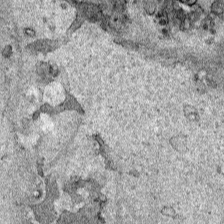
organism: Human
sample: Mitochondria in HCT116 cells